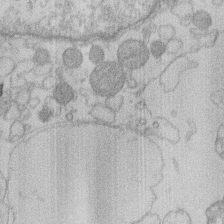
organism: Human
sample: Macrophage cells